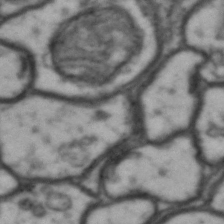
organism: Drosophila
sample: Brain